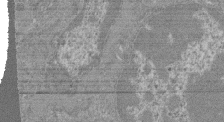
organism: Mouse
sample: Glomerulus